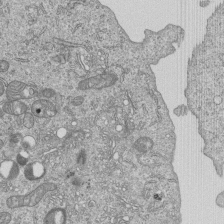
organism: Human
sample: MDA-MB-231 cells